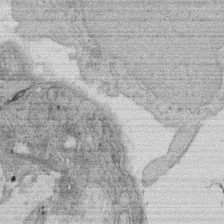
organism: Rat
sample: Salivary granule